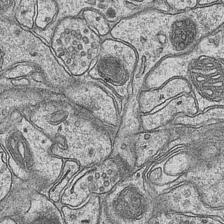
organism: Mouse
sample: CA1 Hippocampus